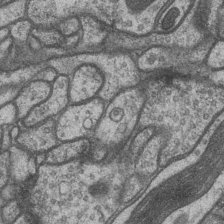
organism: Drosophila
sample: Optic medulla